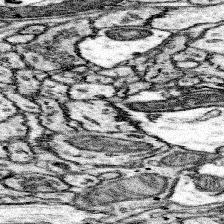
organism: Mouse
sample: Somatosensory cortex neuropil